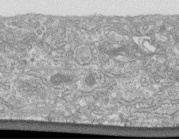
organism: Human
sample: Centriole in fibroblast cells